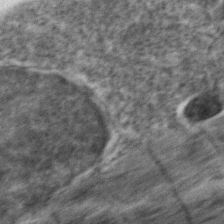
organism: Zebrafish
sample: Zebrafish embryo